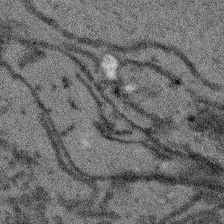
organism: Arabidopsis thaliana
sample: Root tip